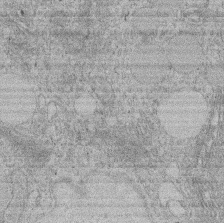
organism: Rat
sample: Salivary granule